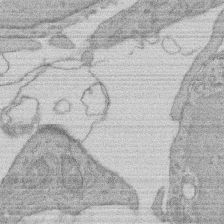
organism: Rat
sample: Salivary granule